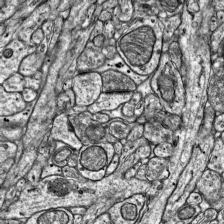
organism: Mouse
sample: Visual Cortex